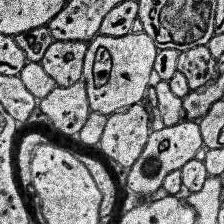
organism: Human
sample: Temporal Lobe